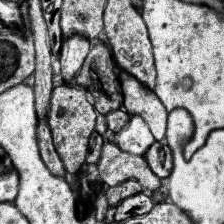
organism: Human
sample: Temporal Lobe